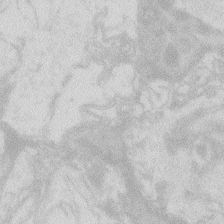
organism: Zebrafish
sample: Macrophage